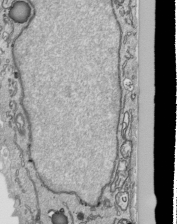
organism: Human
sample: Mitochondria in HCT116 cells